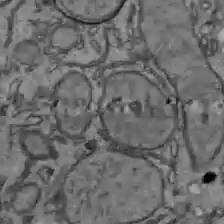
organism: C57BL Mouse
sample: Liver